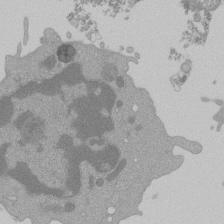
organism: Mouse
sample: Activated Pmel transgenic CD8+ T Cells